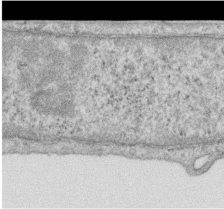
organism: Human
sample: Centriole in RPE cells